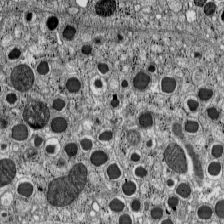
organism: C57BL Mouse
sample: Pancreatic islet